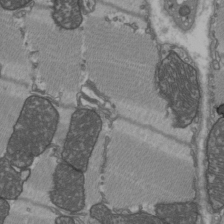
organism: C57BL Mouse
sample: Heart